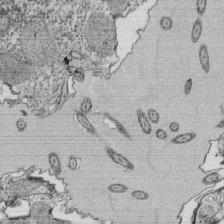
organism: Tetrahymena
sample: Cilia in tetrahymena